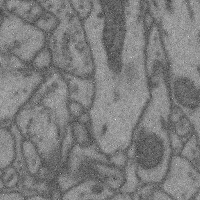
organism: Mouse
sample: Cerebral cortex